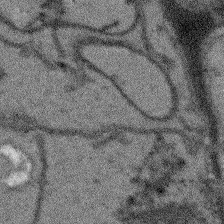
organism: Arabidopsis thaliana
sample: Root tip